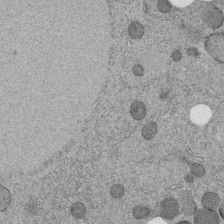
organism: C. elegans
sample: C. elegans embryo early stage